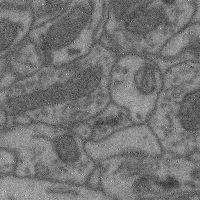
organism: Mouse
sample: Cerebral cortex